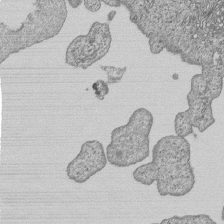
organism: Human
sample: MDA-MB-231 cells